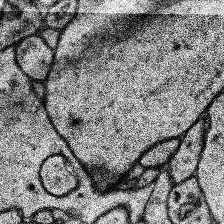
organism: Human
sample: Temporal Lobe